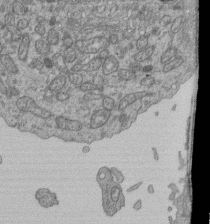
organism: Human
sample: Retinal organoid Rod and Cone cells